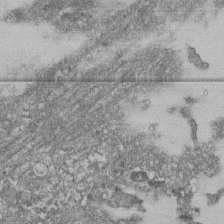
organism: Human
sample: Fibroblast cells